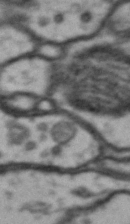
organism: Drosophila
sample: Brain